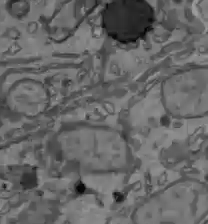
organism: C57BL Mouse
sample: Liver